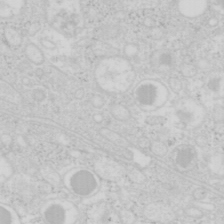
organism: Mouse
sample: Pancreas